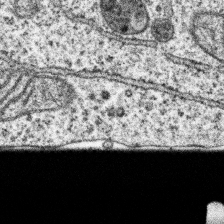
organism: Human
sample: HeLa cells